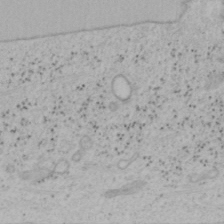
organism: Human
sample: HeLa cells